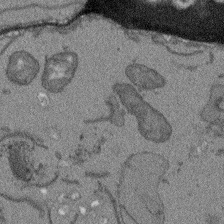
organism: Arabidopsis thaliana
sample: Root tip